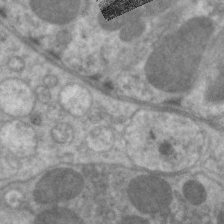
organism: C. elegans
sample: Pharynx